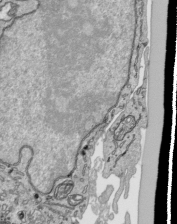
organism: Human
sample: Mitochondria in HCT116 cells